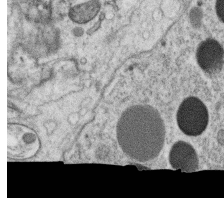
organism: C. elegans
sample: C. elegans oocyte; sperm cells